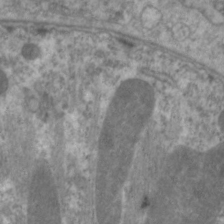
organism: C. elegans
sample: Pharynx